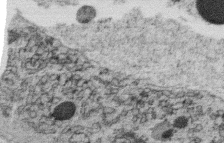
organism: C. elegans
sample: C. elegans oocyte; sperm cells